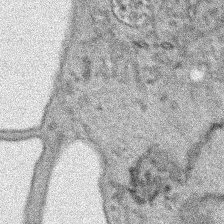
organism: Human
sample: Mitochondria in HCT116 cells